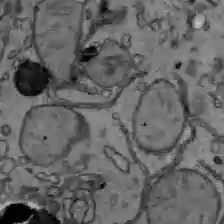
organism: C57BL Mouse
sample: Liver